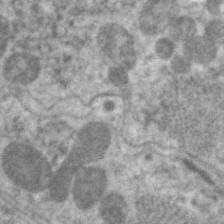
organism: C. elegans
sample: Pharynx